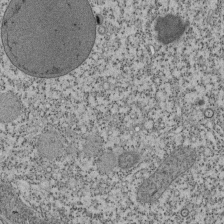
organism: Tetrahymena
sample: Cilia in tetrahymena